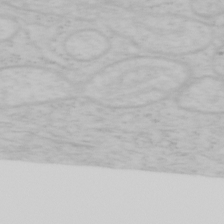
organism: Mouse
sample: OT-I killer T cells with ID8 ovarian cancer cells